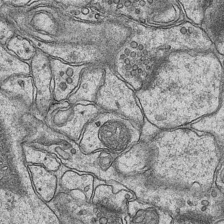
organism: Mouse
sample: CA1 Hippocampus